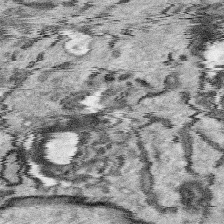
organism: Human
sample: HeLa cells